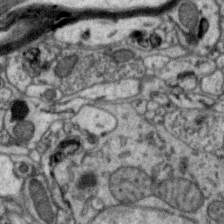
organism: Zebra finch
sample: Brain